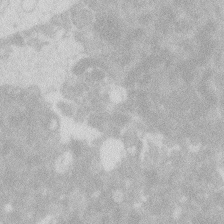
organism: Zebrafish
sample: Macrophage